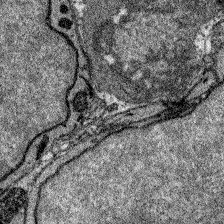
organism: Zebrafish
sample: Larval olfactory bulb